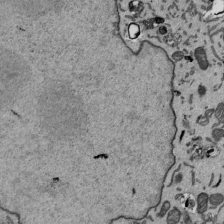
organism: Mouse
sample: ED-1 cell nuclei; centrioles